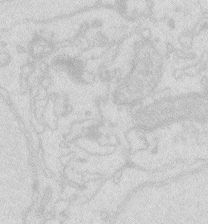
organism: Zebrafish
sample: Macrophage